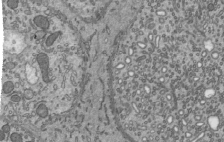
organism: Mouse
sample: Mouse epididymis efferent ductule cilia